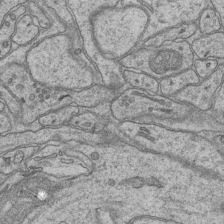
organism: Mouse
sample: CA1 Hippocampus